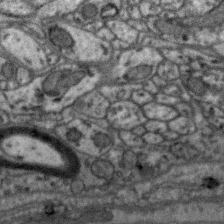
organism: Zebra finch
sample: Brain